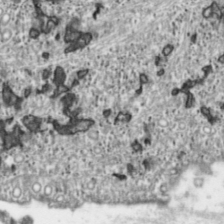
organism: Toxoplasma gondii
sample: Parasites in a vacuole inside a host cell